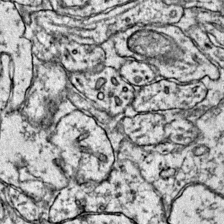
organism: Mouse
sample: Primary visual cortex